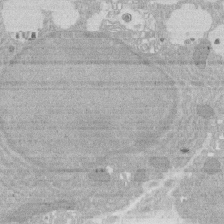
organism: Rat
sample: Salivary granule